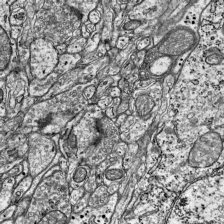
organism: Mouse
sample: Visual Cortex